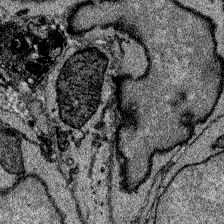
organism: Zebrafish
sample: Larval olfactory bulb